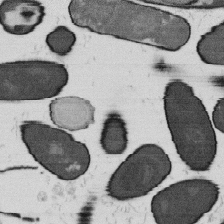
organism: B. subtilis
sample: Bacterial spore